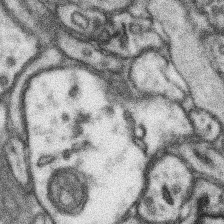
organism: Mouse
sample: Somatosensory cortex neuropil